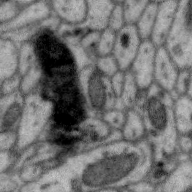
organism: Zebra finch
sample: Brain